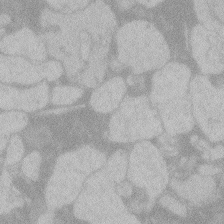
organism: Zebrafish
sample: Macrophage infected with Toxoplasma gondii